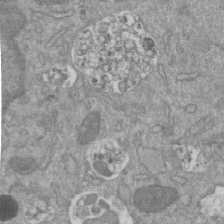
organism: Mouse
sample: ED-1 cell nuclei; centrioles